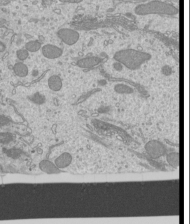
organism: Mouse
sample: Cilia; mouse epididymis